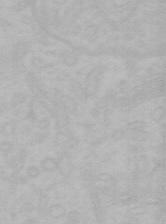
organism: Mouse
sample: Choroid plexus